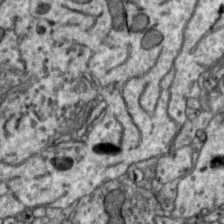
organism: Zebra finch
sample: Brain